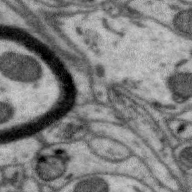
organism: Zebra finch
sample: Brain